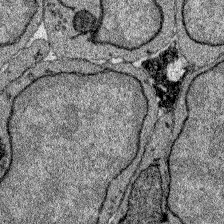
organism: Zebrafish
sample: Larval olfactory bulb